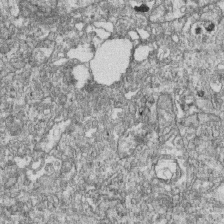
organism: Human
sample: HeLa cell HIV synapse